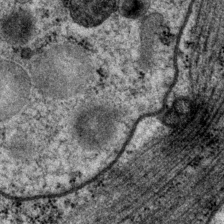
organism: P. pacificus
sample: Pharynx